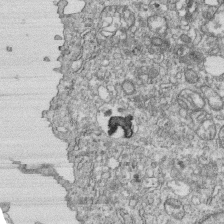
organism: Human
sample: HeLa cell HIV synapse